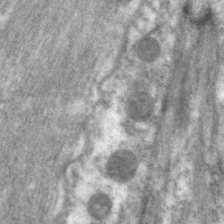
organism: C. elegans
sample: Pharynx